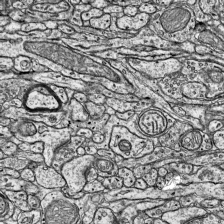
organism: Mouse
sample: Visual Cortex